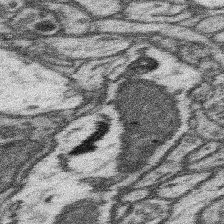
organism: Mouse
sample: Somatosensory cortex neuropil